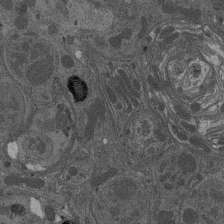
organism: Drosophila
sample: Antenna